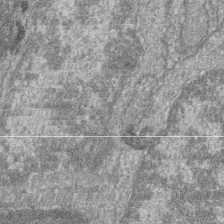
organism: Zebrafish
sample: Cilia; retinal pigment epithelium